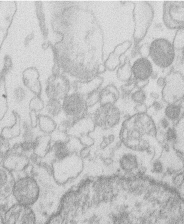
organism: Human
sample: Macrophage cells